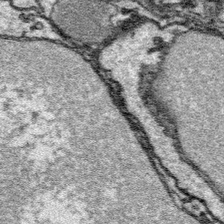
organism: Platynereis dumerilii